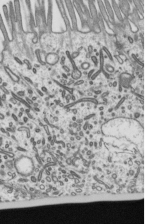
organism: Mouse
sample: Mouse epididymis efferent ductule cilia